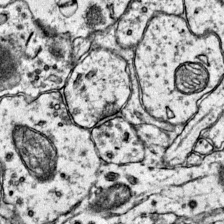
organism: Mouse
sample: Primary visual cortex